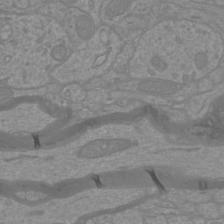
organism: Mouse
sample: Cortical neurons